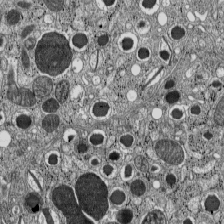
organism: C57BL Mouse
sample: Pancreatic islet